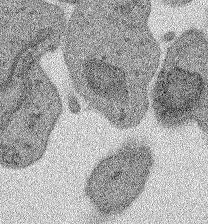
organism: Human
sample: HeLa cells